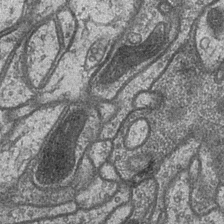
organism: Drosophila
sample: Optic medulla